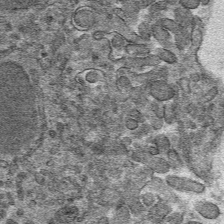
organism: Mouse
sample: Mouse hepatocytes